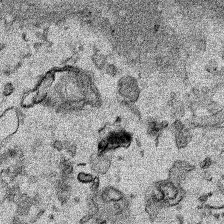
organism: Human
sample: Mitochondria in HCT116 cells